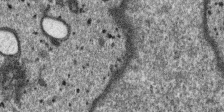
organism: Human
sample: Lung epithelial cells infected with SARS-CoV-2